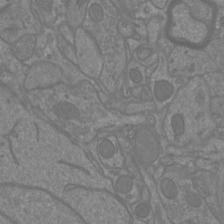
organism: Mouse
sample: Cortical neurons